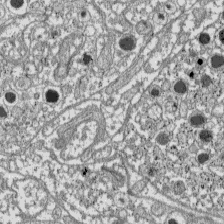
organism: C57BL Mouse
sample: Pancreatic islet